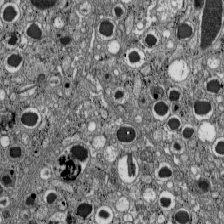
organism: C57BL Mouse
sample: Pancreatic islet